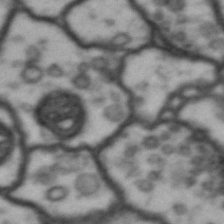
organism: Drosophila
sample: Brain